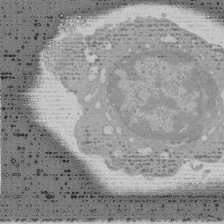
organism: Mouse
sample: Activated Pmel transgenic CD8+ T Cells